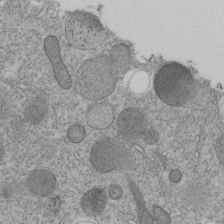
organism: C. elegans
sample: C. elegans embryo early stage